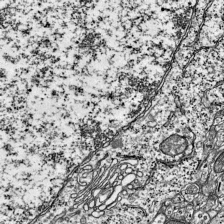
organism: Mouse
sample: Visual Cortex